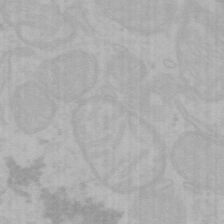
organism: Mouse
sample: Choroid plexus